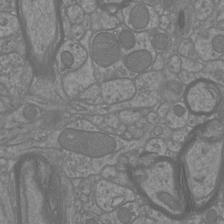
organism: Mouse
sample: Cortical neurons